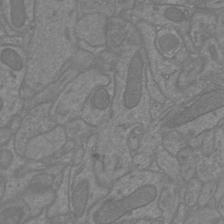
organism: Mouse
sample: Cortical neurons